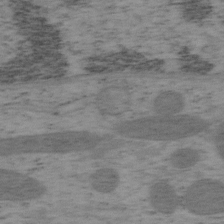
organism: Mouse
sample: OT-I killer T cells with ID8 ovarian cancer cells